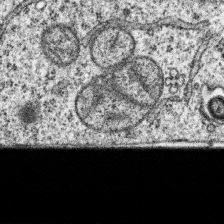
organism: Human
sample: HeLa cells